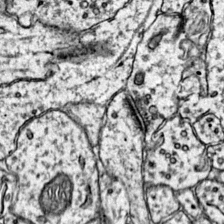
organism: Mouse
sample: Primary visual cortex